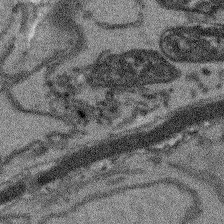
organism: Arabidopsis thaliana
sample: Root tip